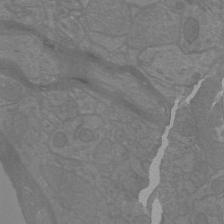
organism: Mouse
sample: Cortical neurons